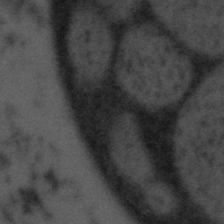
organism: Tuwongella immobilis